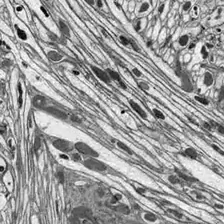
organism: Drosophila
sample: Optic lobe